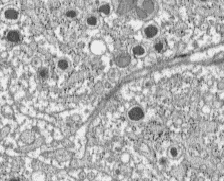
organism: C57BL Mouse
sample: Pancreatic islet